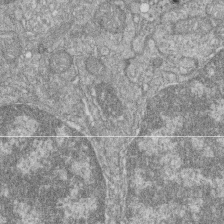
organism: Zebrafish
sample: Cilia; retinal pigment epithelium